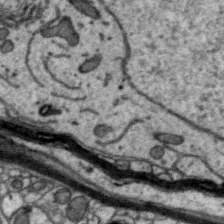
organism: Zebra finch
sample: Brain